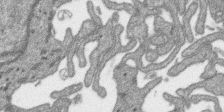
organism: Human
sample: Lung epithelial cells infected with SARS-CoV-2